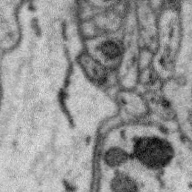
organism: Zebra finch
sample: Brain